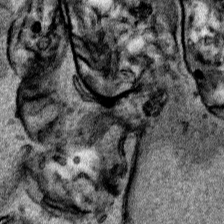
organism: Human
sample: Mitochondria in HCT116 cells